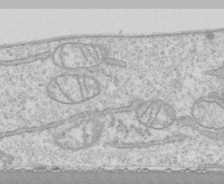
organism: Human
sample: CRL-1474